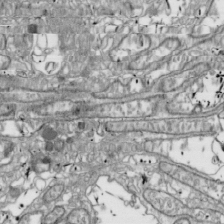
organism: Drosophila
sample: Cell division; meiosis; drosophila spermatocytes